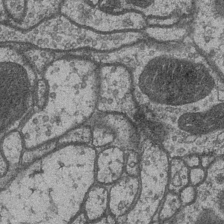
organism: Drosophila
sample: Optic medulla